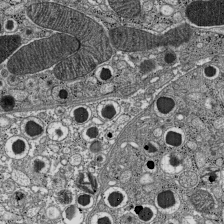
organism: C57BL Mouse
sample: Pancreatic islet